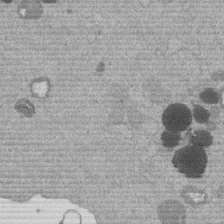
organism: Mouse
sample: Dividing mouse embryo 1 cell stage